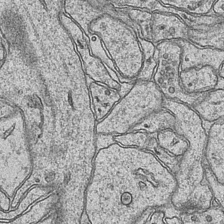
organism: Mouse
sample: CA1 Hippocampus